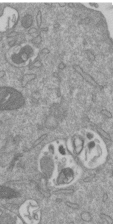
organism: Mouse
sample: ED-1 cell nuclei; centrioles